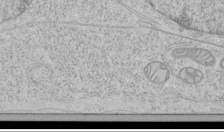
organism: Human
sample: Mitochondria in HCT116 cells